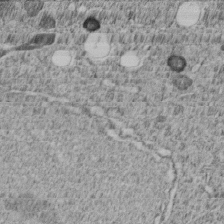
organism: C. elegans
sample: C. elegans embryo early stage